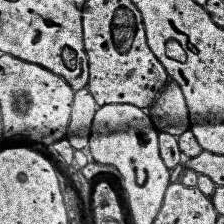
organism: Human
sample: Temporal Lobe